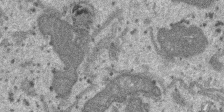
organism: Human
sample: Lung epithelial cells infected with SARS-CoV-2